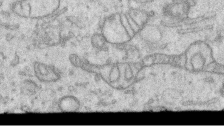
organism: Human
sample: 1205lu cells